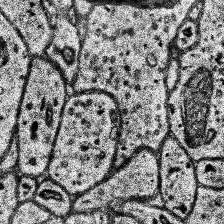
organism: Human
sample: Temporal Lobe